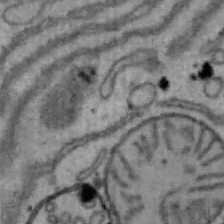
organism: Mouse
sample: Liver